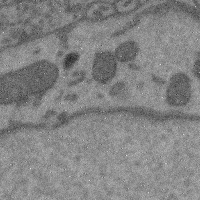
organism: Mouse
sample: Cerebral cortex